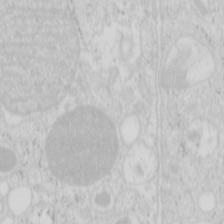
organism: Mouse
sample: Pancreas